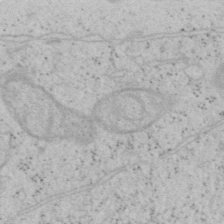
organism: Human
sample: HeLa cells